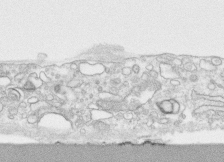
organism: Human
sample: CRL-1474